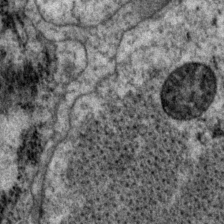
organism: P. pacificus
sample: Pharynx